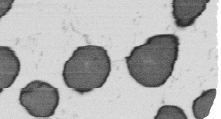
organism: B. subtilis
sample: Bacterial spore